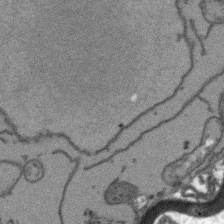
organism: Arabidopsis thaliana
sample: Root tip